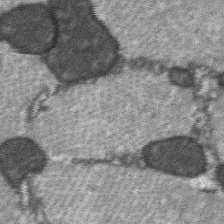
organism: C57BL Mouse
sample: Soleus